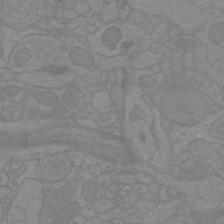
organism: Mouse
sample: Cortical neurons